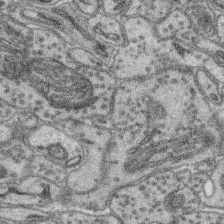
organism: Mouse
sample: Retina